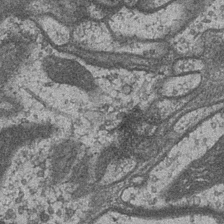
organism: Drosophila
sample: Optic medulla